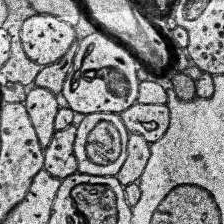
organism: Human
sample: Temporal Lobe